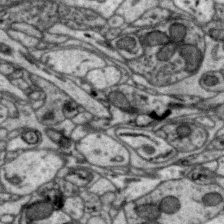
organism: Zebra finch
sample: Brain